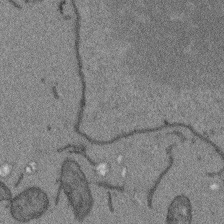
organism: Arabidopsis thaliana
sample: Root tip